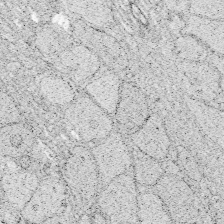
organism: Zebrafish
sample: Whole-Brain